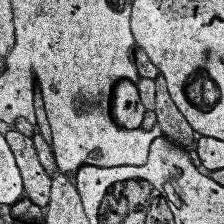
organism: Human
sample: Temporal Lobe